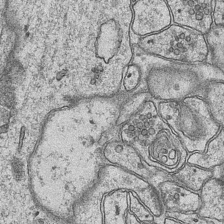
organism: Mouse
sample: CA1 Hippocampus